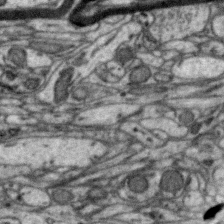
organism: Zebra finch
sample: Brain